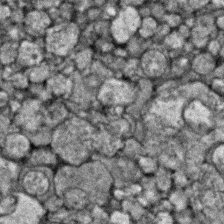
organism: Zebrafish